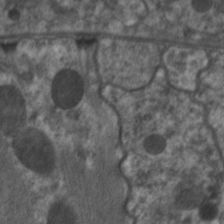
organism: C. elegans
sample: Pharynx